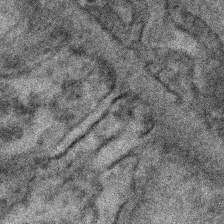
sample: Kidney